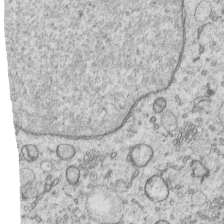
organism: Human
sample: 1205lu cells